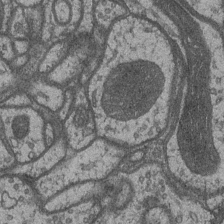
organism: Drosophila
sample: Optic medulla